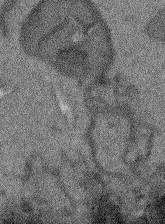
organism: Arabidopsis thaliana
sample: Root tip